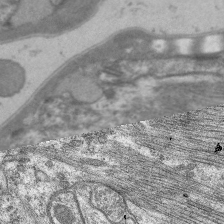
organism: C. elegans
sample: Pharynx